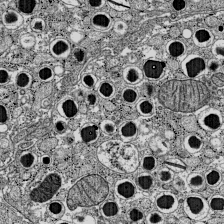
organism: C57BL Mouse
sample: Pancreatic islet